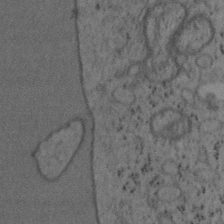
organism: Human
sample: HeLa cells